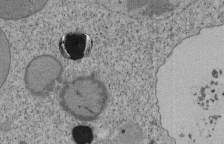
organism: Tetrahymena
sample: Cilia in tetrahymena